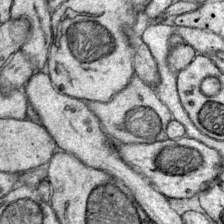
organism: Mouse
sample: Primary visual cortex